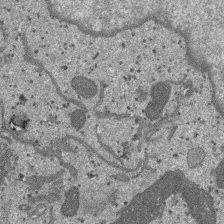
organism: Human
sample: Lung epithelial cells infected with SARS-CoV-2